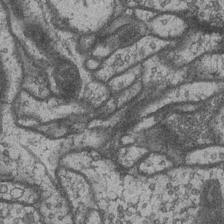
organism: Drosophila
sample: Optic medulla